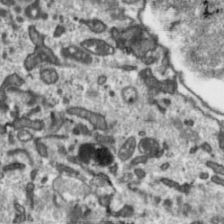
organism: Toxoplasma gondii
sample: Parasites in a vacuole inside a host cell